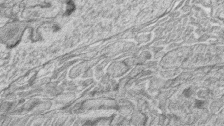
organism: Zebrafish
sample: synaptic ribbons in rod cells and cone cells